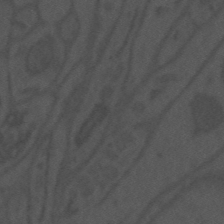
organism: Mouse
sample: Suprachiasmatic nucleus